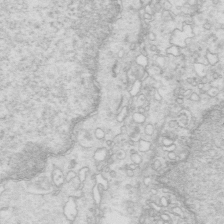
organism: Mouse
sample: Multiciliated cells